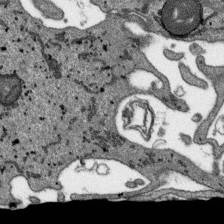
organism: Human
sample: Lung epithelial cells, uninfected (mock) control